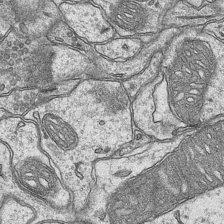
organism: Mouse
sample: CA1 Hippocampus